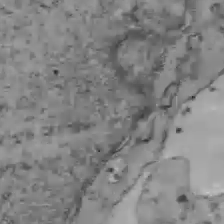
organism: C57BL Mouse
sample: Liver